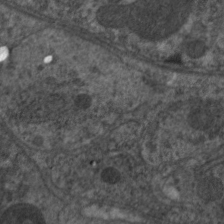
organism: C. elegans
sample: Pharynx